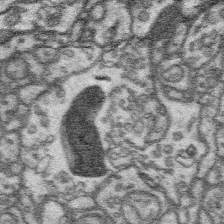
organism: Platynereis dumerilii